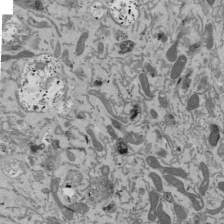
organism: Mouse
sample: ED-1 cell nuclei; centrioles